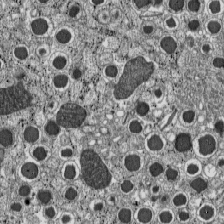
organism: C57BL Mouse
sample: Pancreatic islet